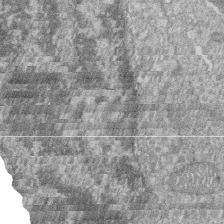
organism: Zebrafish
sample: Cilia; retinal pigment epithelium